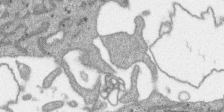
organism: Human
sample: Lung epithelial cells infected with SARS-CoV-2